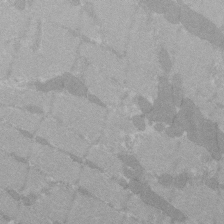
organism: C57BL Mouse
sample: Tibialis anterior muscle cell